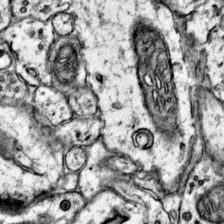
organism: Mouse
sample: Primary visual cortex